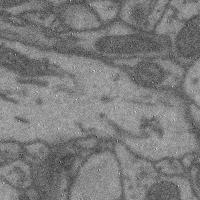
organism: Mouse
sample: Cerebral cortex